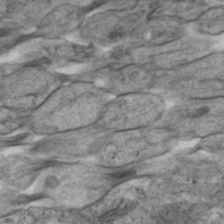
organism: Zebrafish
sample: Zebrafish embryo